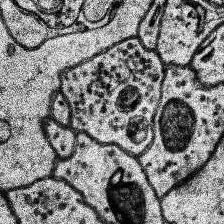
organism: Human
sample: Temporal Lobe